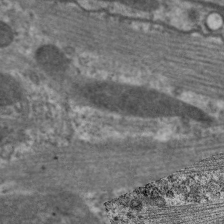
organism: C. elegans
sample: Pharynx